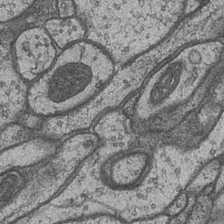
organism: Drosophila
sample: Optic medulla